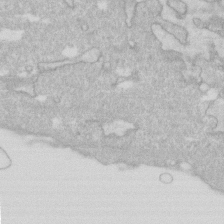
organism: Human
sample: Fibroblast cells